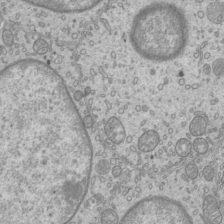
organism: Mouse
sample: Cilia; mouse epididymis